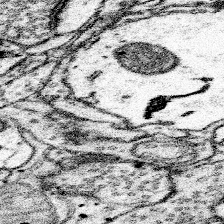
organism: Mouse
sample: Somatosensory cortex neuropil